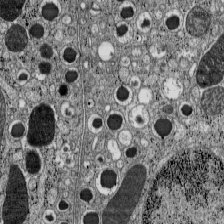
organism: C57BL Mouse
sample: Pancreatic islet